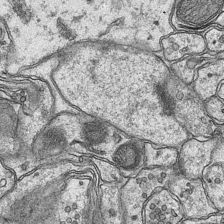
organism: Mouse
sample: CA1 Hippocampus